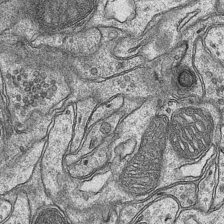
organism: Mouse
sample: CA1 Hippocampus